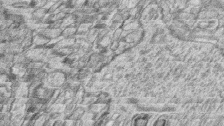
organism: Zebrafish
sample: synaptic ribbons in rod cells and cone cells